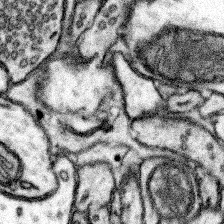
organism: Mouse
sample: Somatosensory cortex neuropil